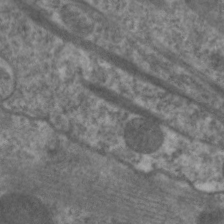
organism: C. elegans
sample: Pharynx